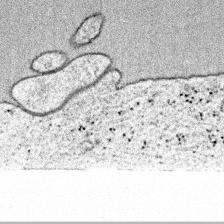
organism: Human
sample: HeLa cells